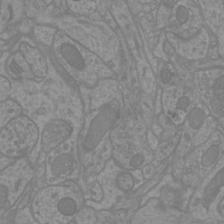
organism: Mouse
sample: Cortical neurons